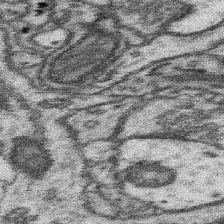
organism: Mouse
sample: Somatosensory cortex neuropil